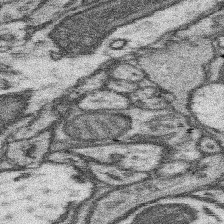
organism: Mouse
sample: Somatosensory cortex neuropil